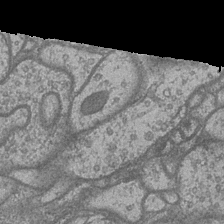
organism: Drosophila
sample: Optic medulla